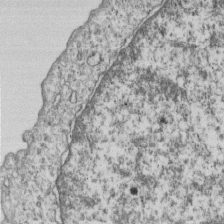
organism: Human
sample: MDA-MB-231 cells